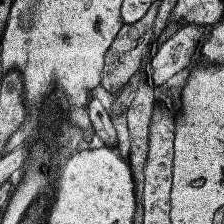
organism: Human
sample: Temporal Lobe